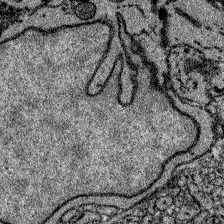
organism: Zebrafish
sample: Larval olfactory bulb